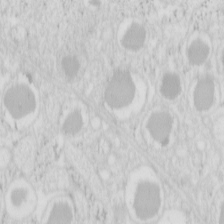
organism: Mouse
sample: Pancreas